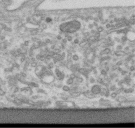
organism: Human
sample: Centriole in RPE cells